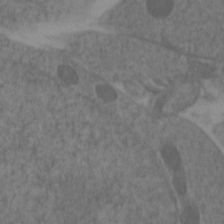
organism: Zebrafish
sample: Zebrafish embryo